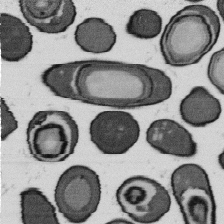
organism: B. subtilis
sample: Bacterial spore